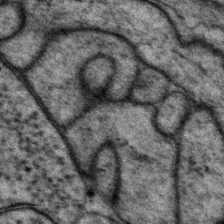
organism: P. pacificus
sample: Pharynx